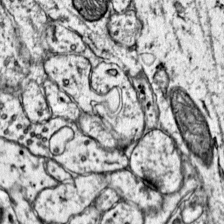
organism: Mouse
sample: Primary visual cortex